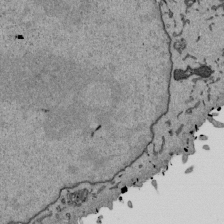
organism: Mouse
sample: ED-1 cell nuclei; centrioles